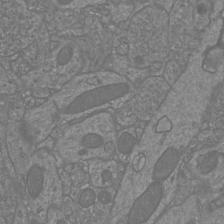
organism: Mouse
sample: Cortical neurons